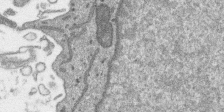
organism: Human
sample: Lung epithelial cells infected with SARS-CoV-2